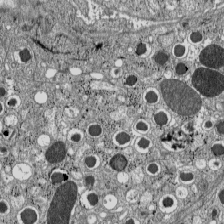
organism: C57BL Mouse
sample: Pancreatic islet